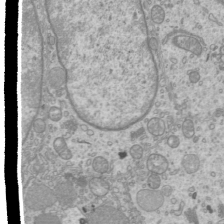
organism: Mouse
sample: Cilia; mouse epididymis